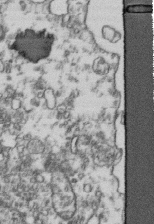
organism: Human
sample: Activated Jurkat CD4+ T cells